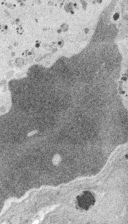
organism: Embia sp.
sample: Silk gland